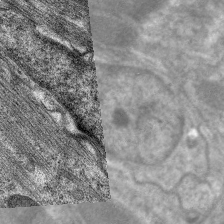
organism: C. elegans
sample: Pharynx